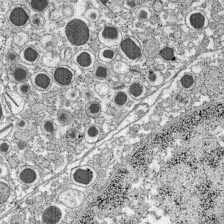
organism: C57BL Mouse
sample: Pancreatic islet